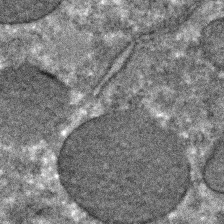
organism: C. elegans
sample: C. elegans embryo